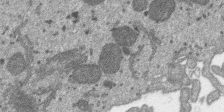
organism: Human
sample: Lung epithelial cells infected with SARS-CoV-2